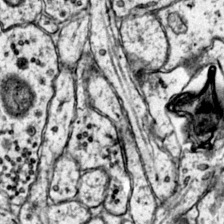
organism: Mouse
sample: Primary visual cortex